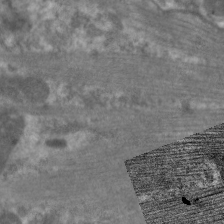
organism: C. elegans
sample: Pharynx